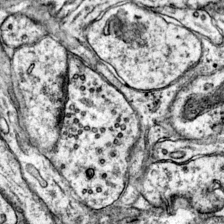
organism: Mouse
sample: Primary visual cortex